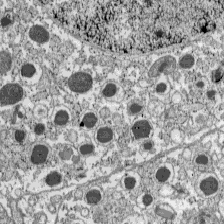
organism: C57BL Mouse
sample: Pancreatic islet